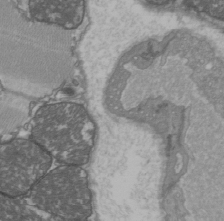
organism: C57BL Mouse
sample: Heart